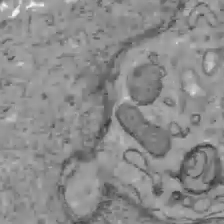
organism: C57BL Mouse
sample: Liver